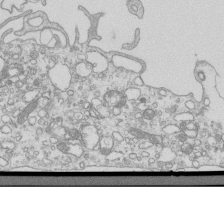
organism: Mouse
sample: Macrophages